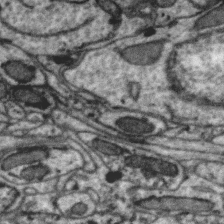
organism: Zebra finch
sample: Brain